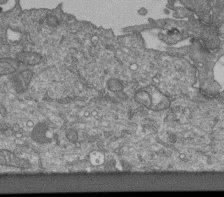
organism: Human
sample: Retinal organoid Rod and Cone cells